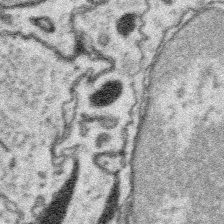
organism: Platynereis dumerilii